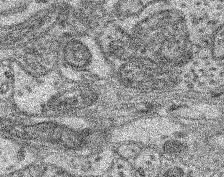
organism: Mouse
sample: Retina